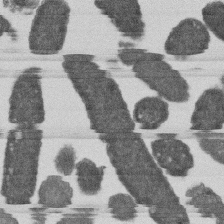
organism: E. coli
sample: Bacterial nucleoid